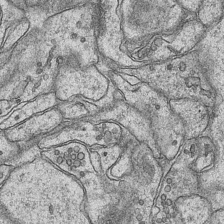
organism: Mouse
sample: CA1 Hippocampus